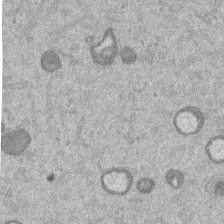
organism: Mouse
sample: Dividing mouse embryo 1 cell stage